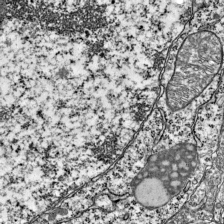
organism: Mouse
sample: Visual Cortex